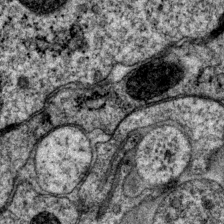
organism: P. pacificus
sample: Pharynx